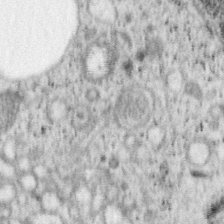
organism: Mouse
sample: OT-I killer T cells with ID8 ovarian cancer cells